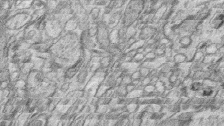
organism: Zebrafish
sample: synaptic ribbons in rod cells and cone cells